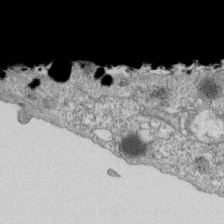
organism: Human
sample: HeLa cell HIV synapse